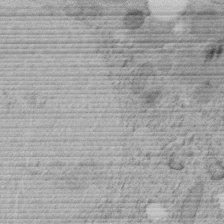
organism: C. elegans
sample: C. elegans embryo early stage